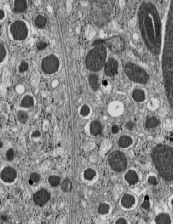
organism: C57BL Mouse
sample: Pancreatic islet